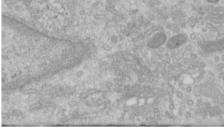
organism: Human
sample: Centriole in RPE cells